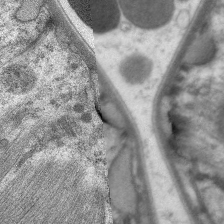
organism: C. elegans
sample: Pharynx